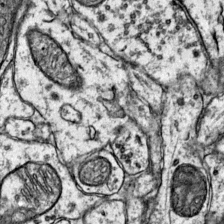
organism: Mouse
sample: Primary visual cortex